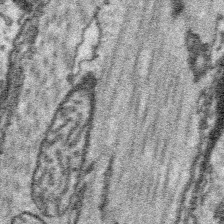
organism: Platynereis dumerilii